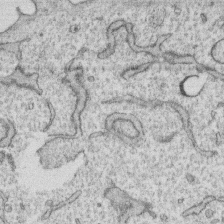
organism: Human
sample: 1205lu cells